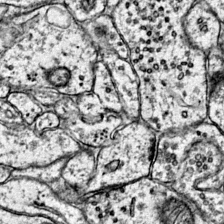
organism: Mouse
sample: Primary visual cortex